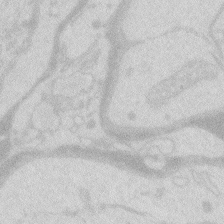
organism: Zebrafish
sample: Macrophage